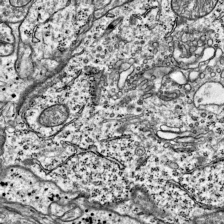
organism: Mouse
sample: Visual Cortex